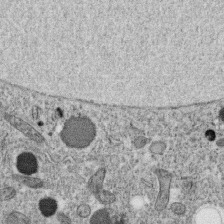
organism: C. elegans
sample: C. elegans oocyte; sperm cells